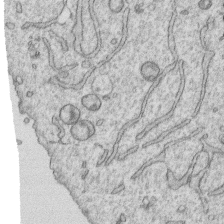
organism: Human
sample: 1205lu cells